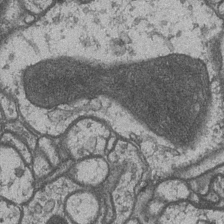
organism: Drosophila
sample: Optic medulla